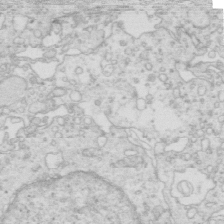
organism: Mouse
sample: Multiciliated cells